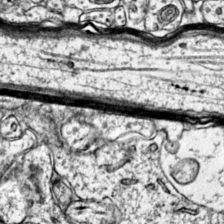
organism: Mouse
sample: Primary visual cortex